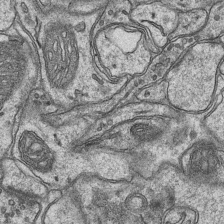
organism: Mouse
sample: CA1 Hippocampus